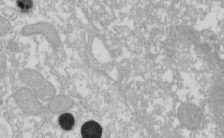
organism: Xenopus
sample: Cilia; centrioles in frog embryo cells